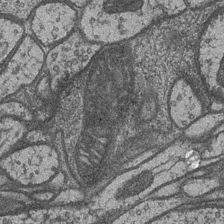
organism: Drosophila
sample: Optic medulla